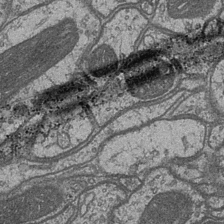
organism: Drosophila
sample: Optic medulla